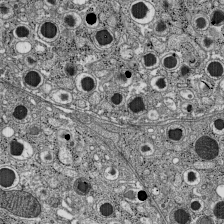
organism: C57BL Mouse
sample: Pancreatic islet